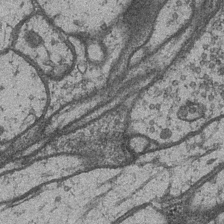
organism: Drosophila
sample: Optic medulla